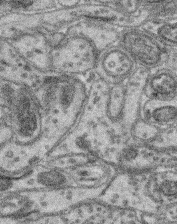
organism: Mouse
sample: Retina